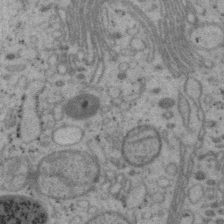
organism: Human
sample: HeLa cells